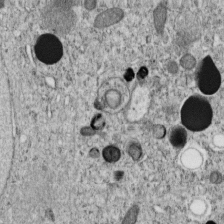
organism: C. elegans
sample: C. elegans embryo early stage